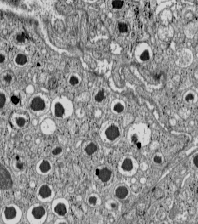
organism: C57BL Mouse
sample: Pancreatic islet